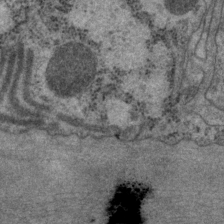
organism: P. pacificus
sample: Pharynx